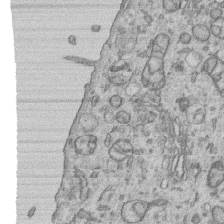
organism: Human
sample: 1205lu cells